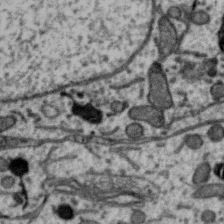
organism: Zebra finch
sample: Brain